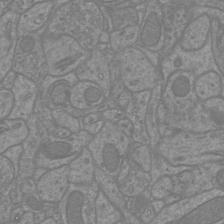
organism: Mouse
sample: Cortical neurons